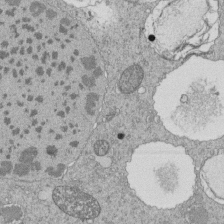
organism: Tetrahymena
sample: Cilia in tetrahymena